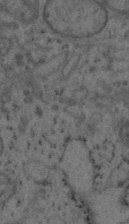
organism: Human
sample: HeLa cells